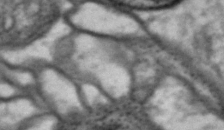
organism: Drosophila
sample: Brain